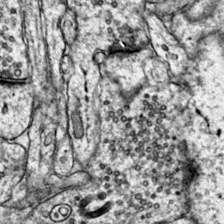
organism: Mouse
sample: Primary visual cortex